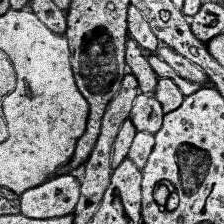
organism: Human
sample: Temporal Lobe